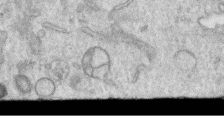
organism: Human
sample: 1205lu cells